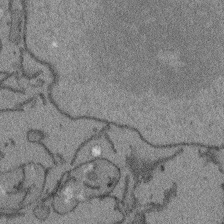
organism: Arabidopsis thaliana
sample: Root tip